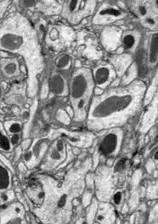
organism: Drosophila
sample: Optic lobe